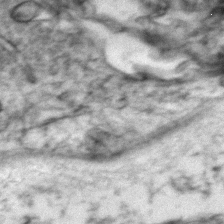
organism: Zebrafish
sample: Zebrafish embryo